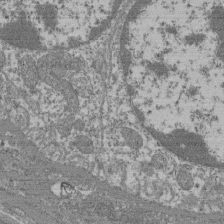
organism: Mouse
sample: Glomerulus